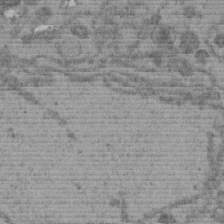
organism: C. elegans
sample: C. elegans embryo early stage